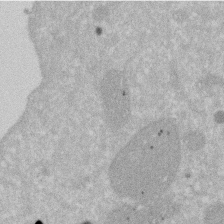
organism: Human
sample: HIV infected U937 cells